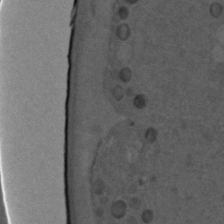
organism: C. elegans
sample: C. elegans embryo